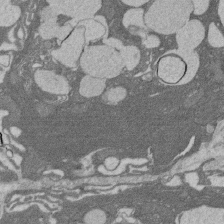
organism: Rat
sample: Salivary granule